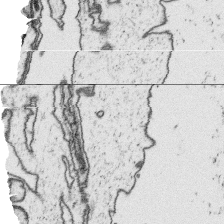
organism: Platynereis dumerilii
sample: Parapodia